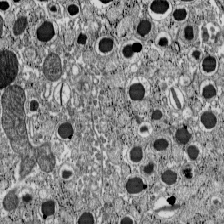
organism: C57BL Mouse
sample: Pancreatic islet